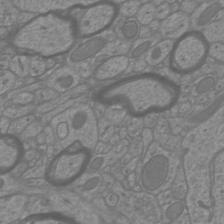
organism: Mouse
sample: Cortical neurons